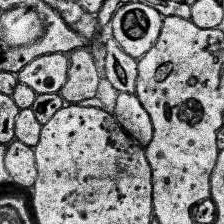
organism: Human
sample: Temporal Lobe